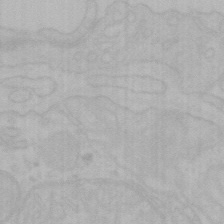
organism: Mouse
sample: Choroid plexus